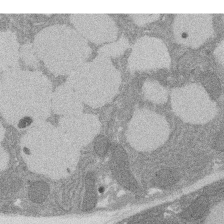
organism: Rat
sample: Salivary granule